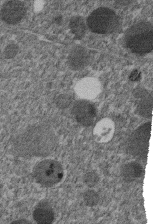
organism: C. elegans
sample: C. elegans embryo early stage